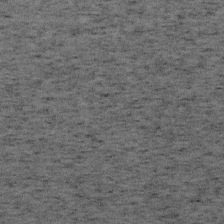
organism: Mouse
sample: OT-I killer T cells with ID8 ovarian cancer cells